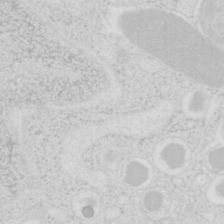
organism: Mouse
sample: Pancreas